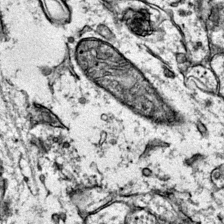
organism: Mouse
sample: Primary visual cortex